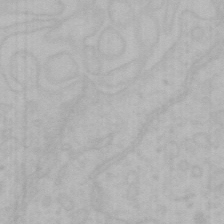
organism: Mouse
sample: Choroid plexus